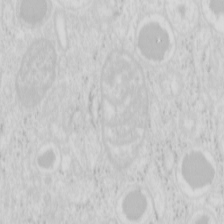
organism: Mouse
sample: Pancreas